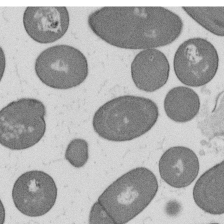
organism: B. subtilis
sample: Bacterial spore